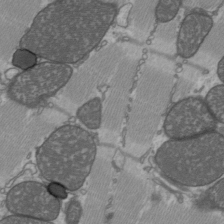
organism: C57BL Mouse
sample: Heart